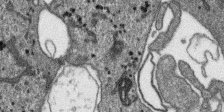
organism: Human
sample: Lung epithelial cells infected with SARS-CoV-2